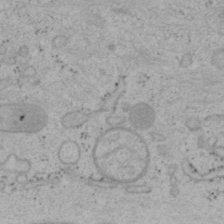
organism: Human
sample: HeLa cells